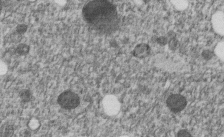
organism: C. elegans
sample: C. elegans embryo early stage